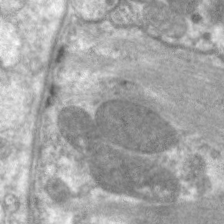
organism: C. elegans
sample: Pharynx